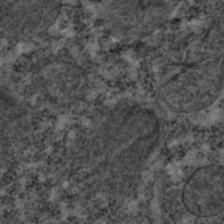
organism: C. elegans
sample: C. elegans embryo